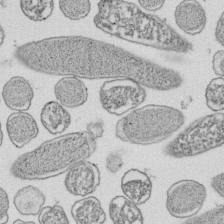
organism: E. coli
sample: Bacterial nucleoid